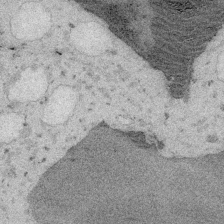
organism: Embia sp.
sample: Silk gland